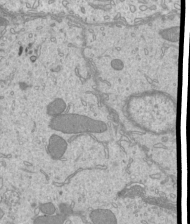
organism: Mouse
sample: Cilia; mouse epididymis